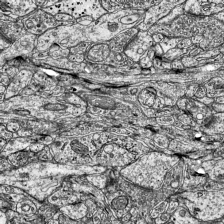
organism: Mouse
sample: Visual Cortex